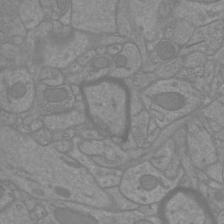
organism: Mouse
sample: Cortical neurons